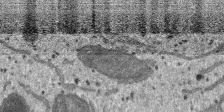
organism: Human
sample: Lung epithelial cells infected with SARS-CoV-2